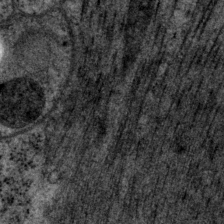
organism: P. pacificus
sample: Pharynx